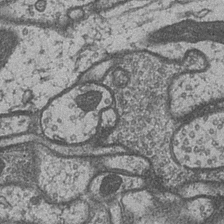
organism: Drosophila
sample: Optic medulla